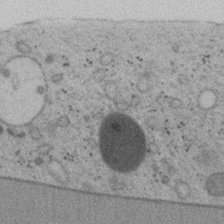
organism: Human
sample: HeLa cells